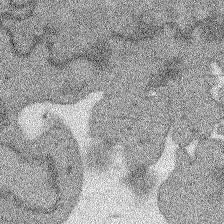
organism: Human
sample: HeLa cells